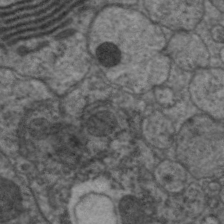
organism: C. elegans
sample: Pharynx